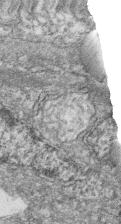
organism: Zebrafish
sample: Cilia; retinal pigment epithelium